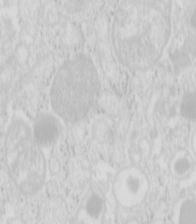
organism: Mouse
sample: Pancreas